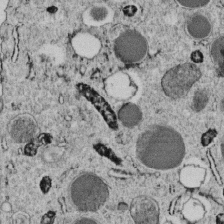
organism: C. elegans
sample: C. elegans embryo early stage